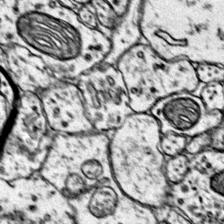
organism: Mouse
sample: Primary visual cortex